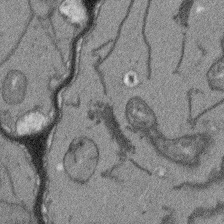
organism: Arabidopsis thaliana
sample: Root tip